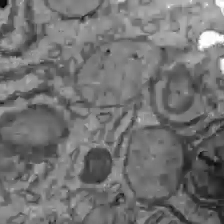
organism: C57BL Mouse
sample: Liver